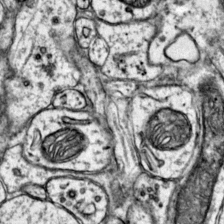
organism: Mouse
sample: Primary visual cortex